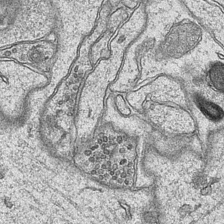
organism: Mouse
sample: CA1 Hippocampus